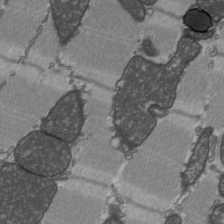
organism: C57BL Mouse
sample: Heart